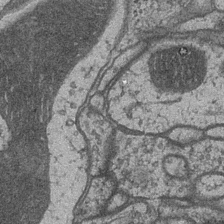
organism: Drosophila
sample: Optic medulla